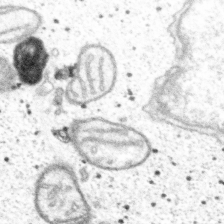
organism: Human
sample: HeLa cells